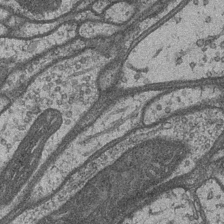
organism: Drosophila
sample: Optic medulla